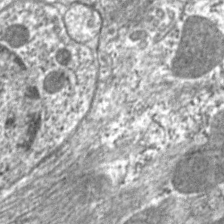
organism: C. elegans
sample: Pharynx